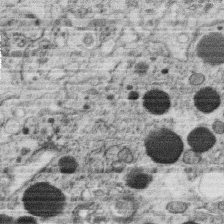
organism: C. elegans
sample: C. elegans oocyte; sperm cells